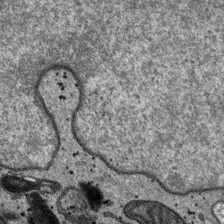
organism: Human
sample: Lung epithelial cells, uninfected (mock) control